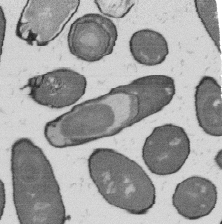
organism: B. subtilis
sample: Bacterial spore